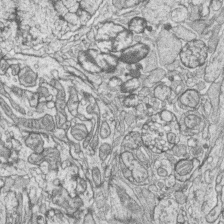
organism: Zebrafish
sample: synaptic ribbons in rod cells and cone cells